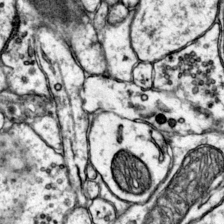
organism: Mouse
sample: Primary visual cortex